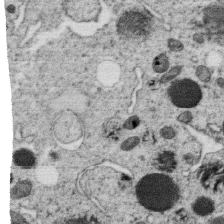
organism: C. elegans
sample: C. elegans oocyte; sperm cells